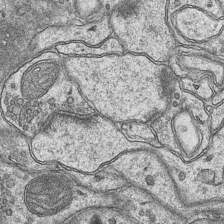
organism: Mouse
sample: CA1 Hippocampus